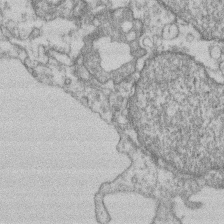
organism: Mouse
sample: T cell stromal cell synapse